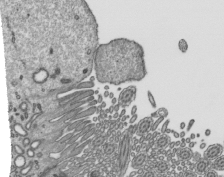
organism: Mouse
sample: Mouse epididymis efferent ductule cilia